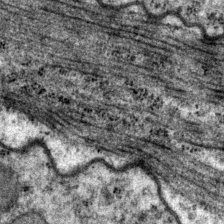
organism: P. pacificus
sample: Pharynx